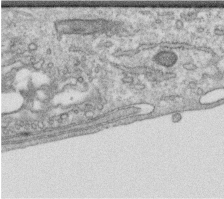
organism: Human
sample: Centriole in RPE cells